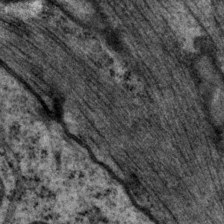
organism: P. pacificus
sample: Pharynx